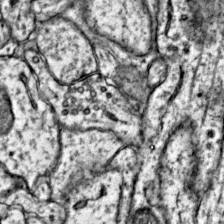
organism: Mouse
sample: Primary visual cortex